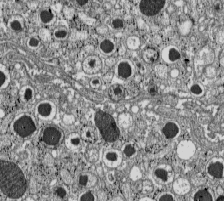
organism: C57BL Mouse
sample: Pancreatic islet